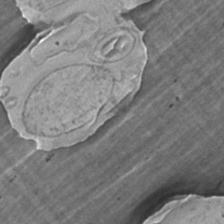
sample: Trachea